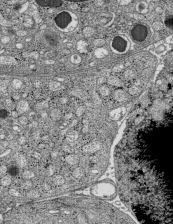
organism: C57BL Mouse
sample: Pancreatic islet